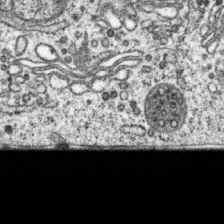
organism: Human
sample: HeLa cells